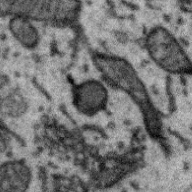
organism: Zebra finch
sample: Brain